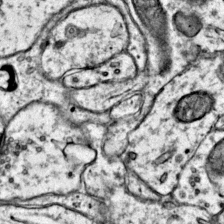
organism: Mouse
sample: Primary visual cortex